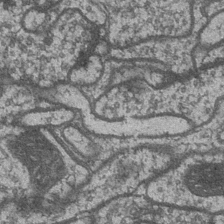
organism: Drosophila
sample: Optic medulla